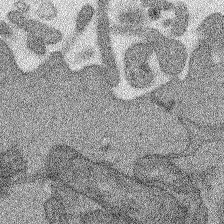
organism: Human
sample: HeLa cells